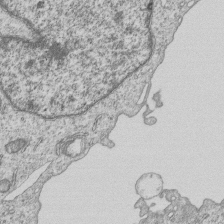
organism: Human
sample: MDA-MB-231 cells